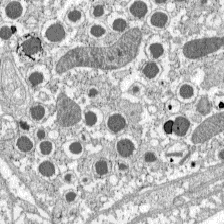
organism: C57BL Mouse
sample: Pancreatic islet